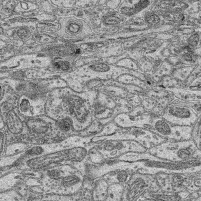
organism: Mouse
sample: Retina